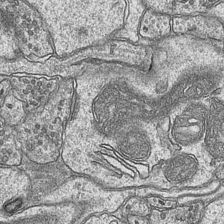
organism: Mouse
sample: CA1 Hippocampus